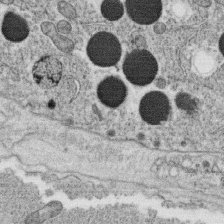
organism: C. elegans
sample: C. elegans oocyte; sperm cells